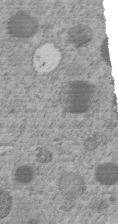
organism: C. elegans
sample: C. elegans embryo early stage